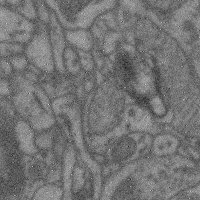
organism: Mouse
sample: Cerebral cortex